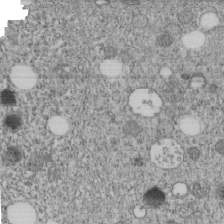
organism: C. elegans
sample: C. elegans embryo early stage